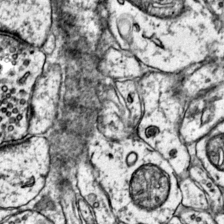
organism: Mouse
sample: Primary visual cortex